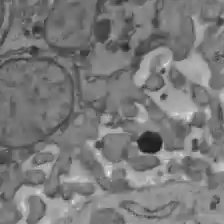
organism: C57BL Mouse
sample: Liver